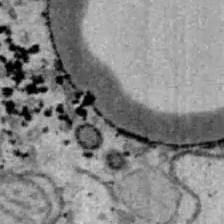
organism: Mouse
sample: Liver from an obese (ob/ob) mouse